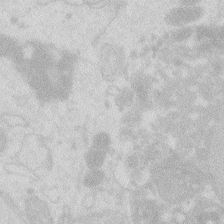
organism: Zebrafish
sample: Macrophage